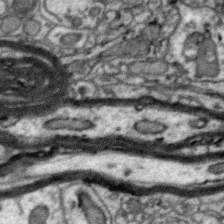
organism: Zebra finch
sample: Brain